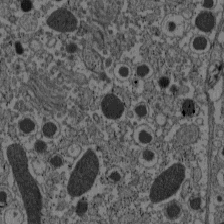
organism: C57BL Mouse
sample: Pancreatic islet